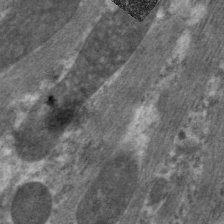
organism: C. elegans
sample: Pharynx